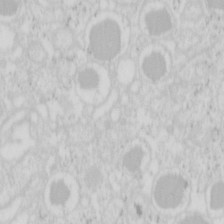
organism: Mouse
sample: Pancreas